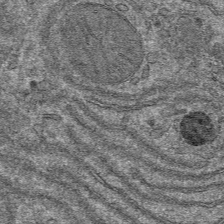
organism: Mouse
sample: Mouse hepatocytes